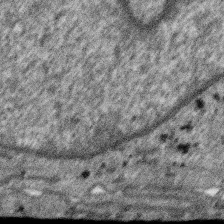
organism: Human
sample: Lung epithelial cells infected with SARS-CoV-2